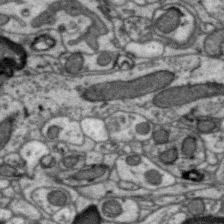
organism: Zebra finch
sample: Brain